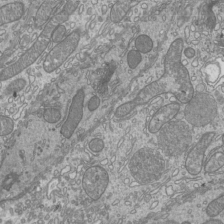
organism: Mouse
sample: Cilia; mouse epididymis